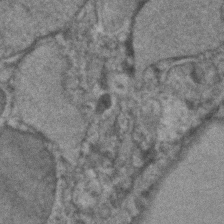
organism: Human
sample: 1205lu cells